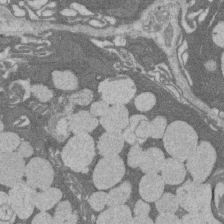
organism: Rat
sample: Salivary granule